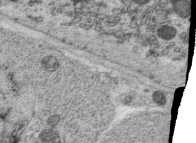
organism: C. elegans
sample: C. elegans oocyte; sperm cells